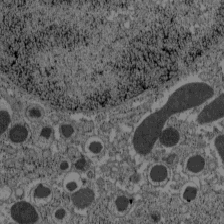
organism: C57BL Mouse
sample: Pancreatic islet